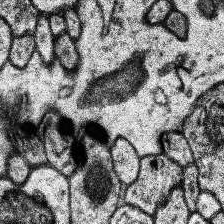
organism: Human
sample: Temporal Lobe